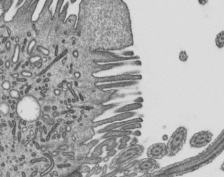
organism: Mouse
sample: Mouse epididymis efferent ductule cilia